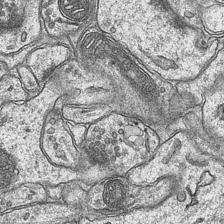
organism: Mouse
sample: CA1 Hippocampus